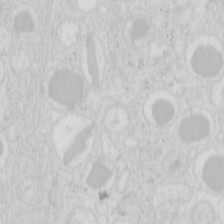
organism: Mouse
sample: Pancreas